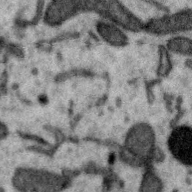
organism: Zebra finch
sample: Brain